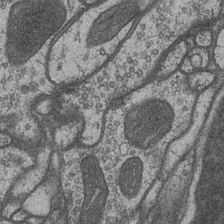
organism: Drosophila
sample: Optic medulla